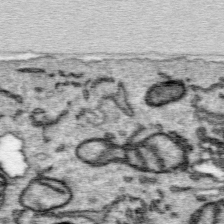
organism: Human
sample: HeLa cells